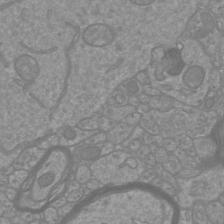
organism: Mouse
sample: Cortical neurons